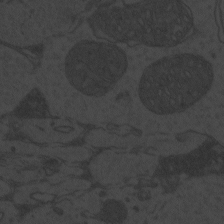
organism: Zebrafish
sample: Macrophage infected with Toxoplasma gondii